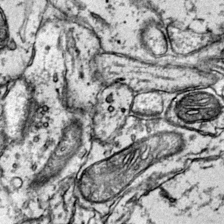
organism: Mouse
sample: Primary visual cortex